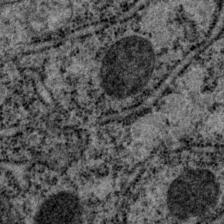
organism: P. pacificus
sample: Pharynx